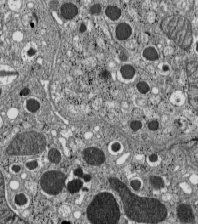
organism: C57BL Mouse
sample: Pancreatic islet